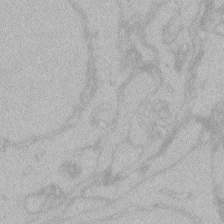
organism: Zebrafish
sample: Macrophage infected with Toxoplasma gondii